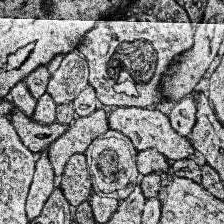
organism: Human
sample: Temporal Lobe